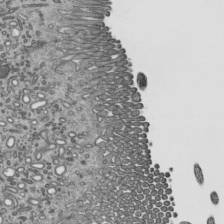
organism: Mouse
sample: Mouse epididymis efferent ductule cilia